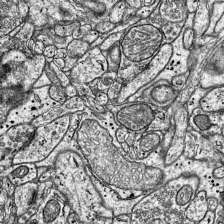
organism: Mouse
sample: Visual Cortex